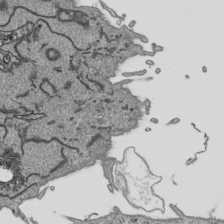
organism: Human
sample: Mitochondria in HCT116 cells